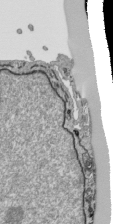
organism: Human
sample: Mitochondria in HCT116 cells